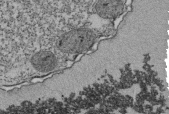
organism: Tetrahymena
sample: Cilia in tetrahymena